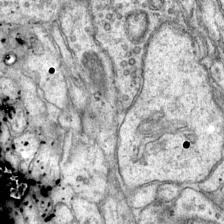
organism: Mouse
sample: Primary visual cortex